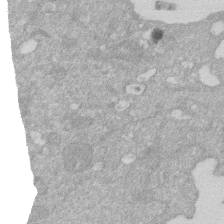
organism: Human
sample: HIV infected U937 cells